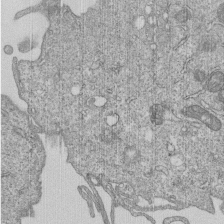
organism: Human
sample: MDA-MB-231 cells